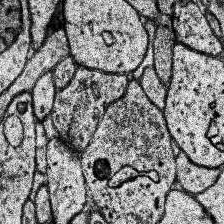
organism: Human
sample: Temporal Lobe